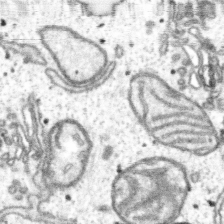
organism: Human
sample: HeLa cells